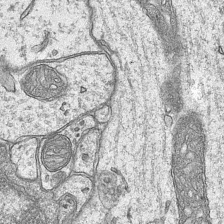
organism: Mouse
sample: CA1 Hippocampus